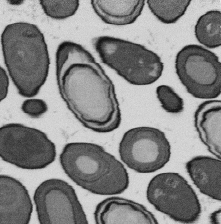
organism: B. subtilis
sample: Bacterial spore